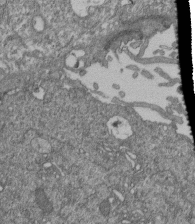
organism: Human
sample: Retinal organoid Rod and Cone cells